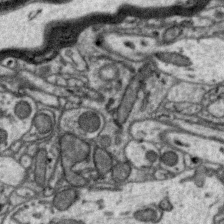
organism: Zebra finch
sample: Brain